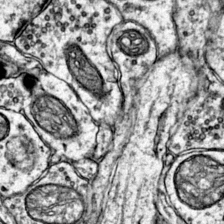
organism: Mouse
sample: Primary visual cortex